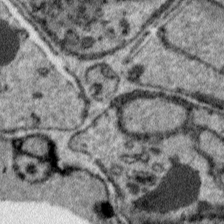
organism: Plasmodium falciparum